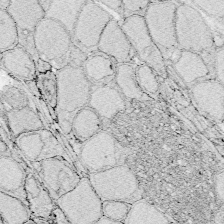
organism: Zebrafish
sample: Whole-Brain